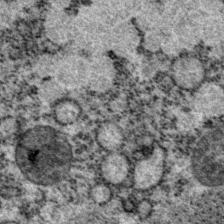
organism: P. pacificus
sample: Pharynx